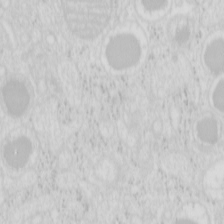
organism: Mouse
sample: Pancreas